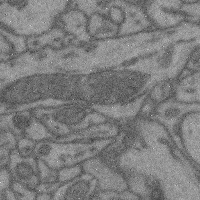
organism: Mouse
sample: Cerebral cortex